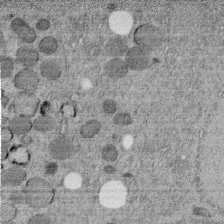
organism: C. elegans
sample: C. elegans embryo early stage